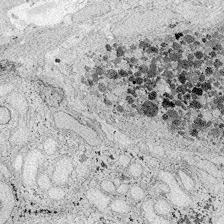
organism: Zebrafish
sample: Whole-Brain